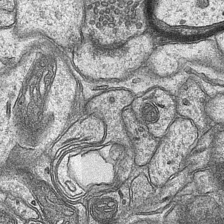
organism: Mouse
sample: CA1 Hippocampus